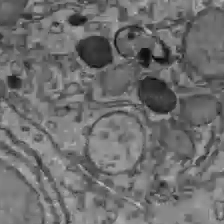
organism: C57BL Mouse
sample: Liver